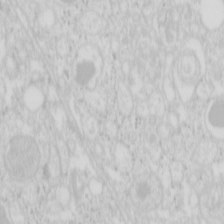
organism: Mouse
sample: Pancreas